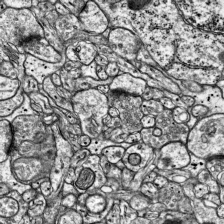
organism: Mouse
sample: Visual Cortex